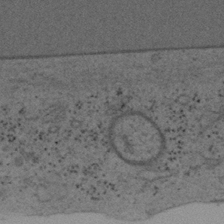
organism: Human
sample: HeLa cells